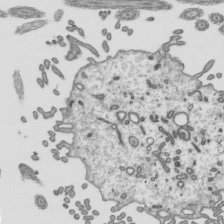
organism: Mouse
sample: Mouse epididymis efferent ductule cilia